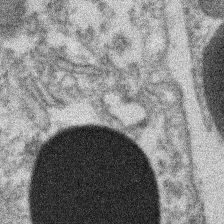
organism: Xenopus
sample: Cilia; centrioles in frog embryo cells